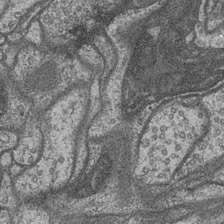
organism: Drosophila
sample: Optic medulla